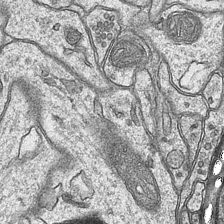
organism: Mouse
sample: CA1 Hippocampus